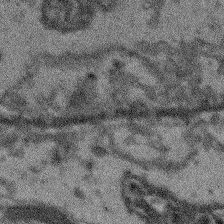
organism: Arabidopsis thaliana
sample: Root tip